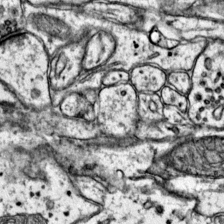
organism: Mouse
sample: Primary visual cortex